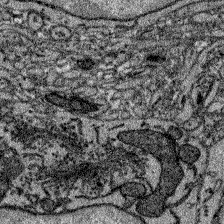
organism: Zebrafish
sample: Larval olfactory bulb